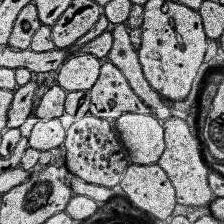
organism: Human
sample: Temporal Lobe